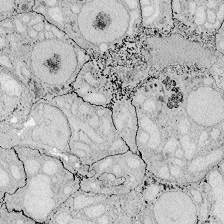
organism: Zebrafish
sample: Whole-Brain